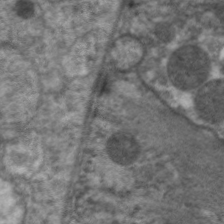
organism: C. elegans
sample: Pharynx